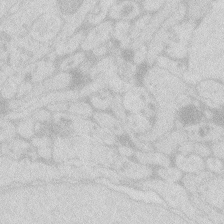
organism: Zebrafish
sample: Macrophage